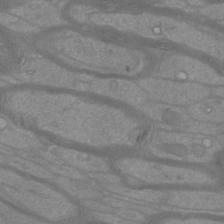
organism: Mouse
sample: Cortical neurons